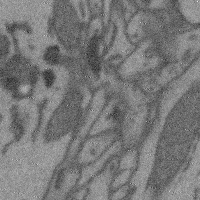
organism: Mouse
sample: Cerebral cortex